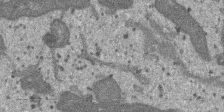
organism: Human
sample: Lung epithelial cells infected with SARS-CoV-2